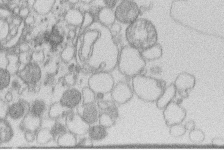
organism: Human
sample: Macrophage cells